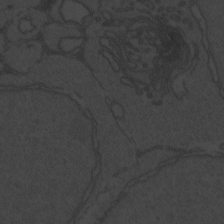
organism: Zebrafish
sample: Macrophage infected with Toxoplasma gondii